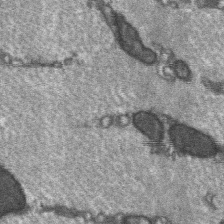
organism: C57BL Mouse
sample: Soleus